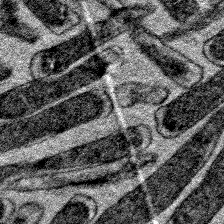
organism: E. coli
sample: E. Coli Bacteria